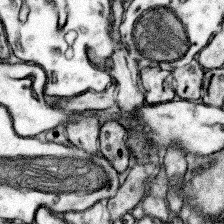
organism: Mouse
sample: Somatosensory cortex neuropil